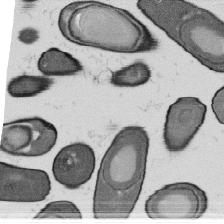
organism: B. subtilis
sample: Bacterial spore